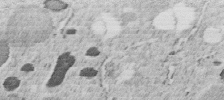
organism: C. elegans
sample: C. elegans embryo early stage